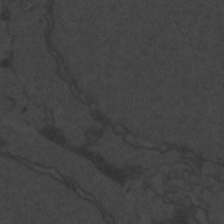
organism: Zebrafish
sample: Macrophage infected with Toxoplasma gondii